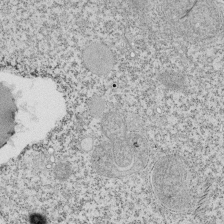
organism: Tetrahymena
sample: Cilia in tetrahymena